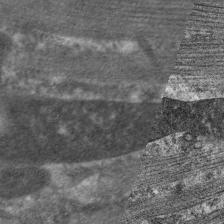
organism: C. elegans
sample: Pharynx